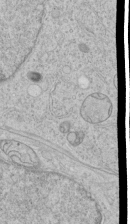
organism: Human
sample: Mitochondria in HCT116 cells